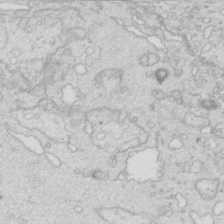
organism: Mouse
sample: Multiciliated cells